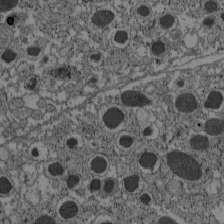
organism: C57BL Mouse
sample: Pancreatic islet